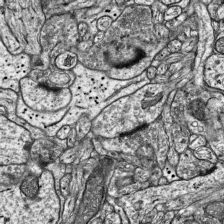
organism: Mouse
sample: Visual Cortex